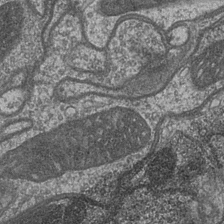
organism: Drosophila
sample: Optic medulla